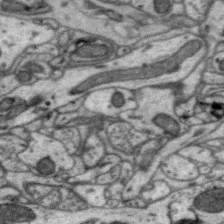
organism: Zebra finch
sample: Brain